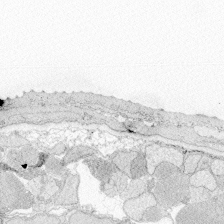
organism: Zebrafish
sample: Whole-Brain